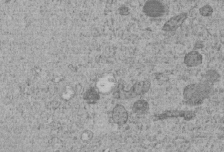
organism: C. elegans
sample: C. elegans embryo early stage